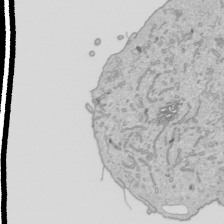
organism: Human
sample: Mitochondria in HCT116 cells